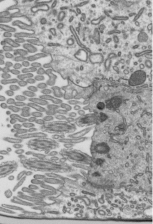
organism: Mouse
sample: Mouse epididymis efferent ductule cilia